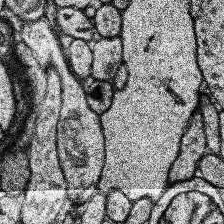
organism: Human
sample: Temporal Lobe